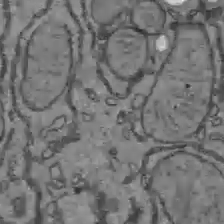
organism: C57BL Mouse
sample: Liver